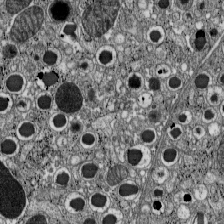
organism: C57BL Mouse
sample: Pancreatic islet